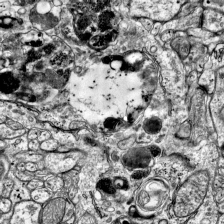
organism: Mouse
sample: Visual Cortex